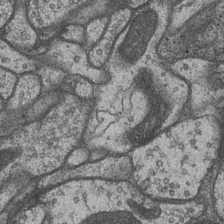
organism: Drosophila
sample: Optic medulla